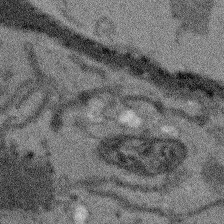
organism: Arabidopsis thaliana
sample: Root tip